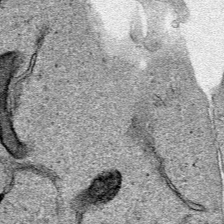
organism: Human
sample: Mitochondria in HCT116 cells